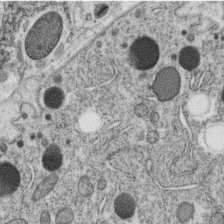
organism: C. elegans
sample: C. elegans oocyte; sperm cells